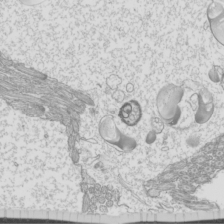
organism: Mouse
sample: Cilia; mouse epididymis